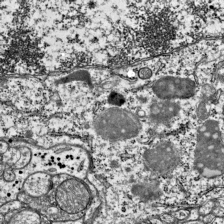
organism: Mouse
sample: Visual Cortex